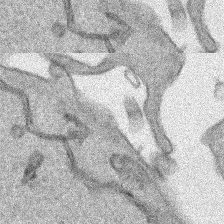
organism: Human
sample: Mitochondria in HCT116 cells